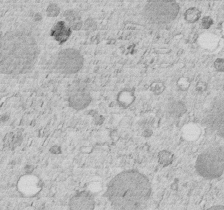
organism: C. elegans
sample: C. elegans embryo early stage